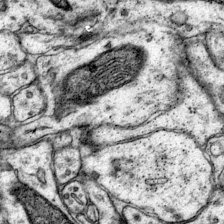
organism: Mouse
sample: Primary visual cortex